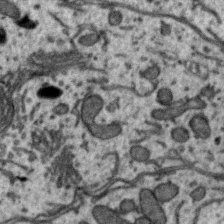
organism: Zebra finch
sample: Brain